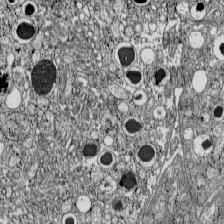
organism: C57BL Mouse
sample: Pancreatic islet